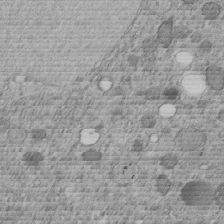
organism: C. elegans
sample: C. elegans embryo early stage